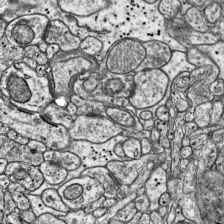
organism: Mouse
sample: Visual Cortex